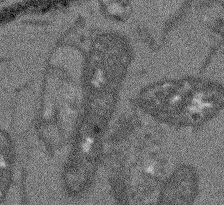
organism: Arabidopsis thaliana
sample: Root tip